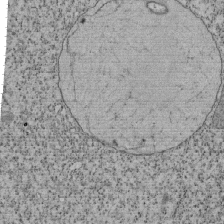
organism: Tetrahymena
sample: Cilia in tetrahymena